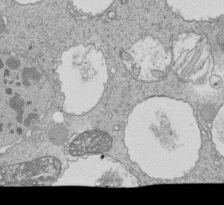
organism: Tetrahymena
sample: Cilia in tetrahymena